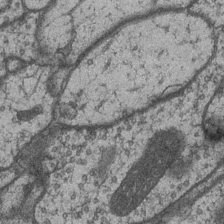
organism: Drosophila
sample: Optic medulla